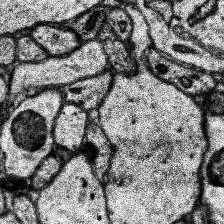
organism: Human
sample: Temporal Lobe